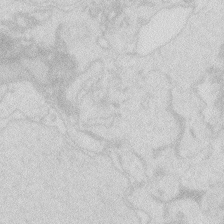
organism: Zebrafish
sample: Macrophage